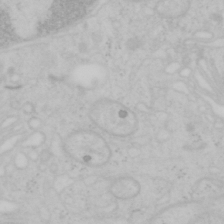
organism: Mouse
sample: OT-I killer T cells with ID8 ovarian cancer cells